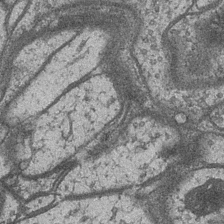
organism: Drosophila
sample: Optic medulla